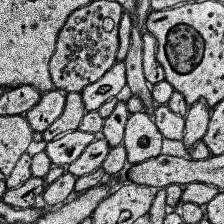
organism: Human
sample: Temporal Lobe